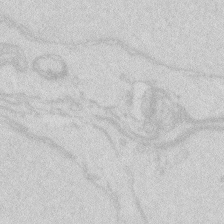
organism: Zebrafish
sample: Macrophage